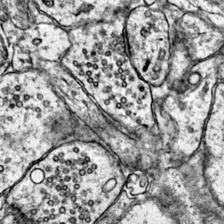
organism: Mouse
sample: Primary visual cortex